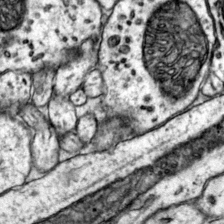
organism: Mouse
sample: Primary visual cortex